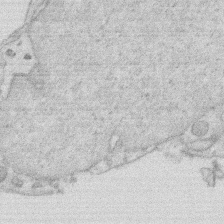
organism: Rat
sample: Salivary granule